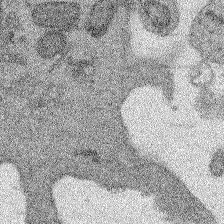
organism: Human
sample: HeLa cells